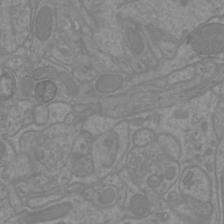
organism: Mouse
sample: Cortical neurons